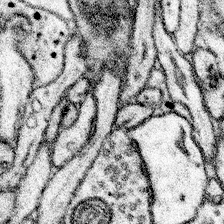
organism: Mouse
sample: Somatosensory cortex neuropil